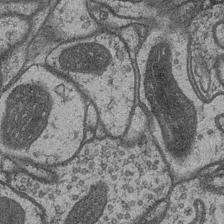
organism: Drosophila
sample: Optic medulla